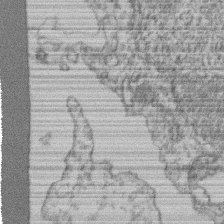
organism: Mouse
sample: T cell stromal cell synapse